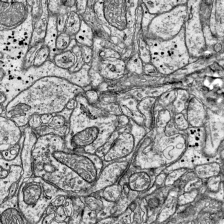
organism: Mouse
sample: Visual Cortex